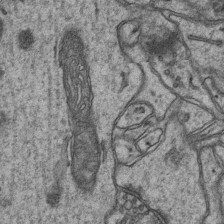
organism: Mouse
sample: CA1 Hippocampus